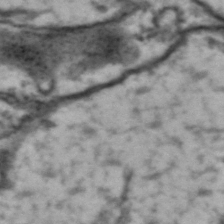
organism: Drosophila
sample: Brain